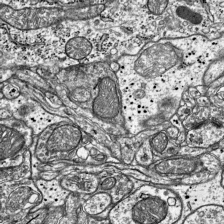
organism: Mouse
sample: Visual Cortex